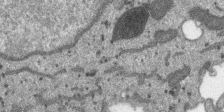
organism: Human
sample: Lung epithelial cells infected with SARS-CoV-2